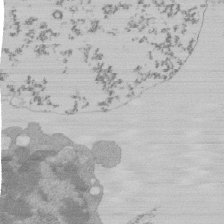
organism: Mouse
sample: Activated Pmel transgenic CD8+ T Cells